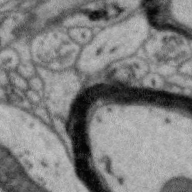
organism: Zebra finch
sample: Brain